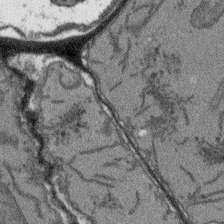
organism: Arabidopsis thaliana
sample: Root tip